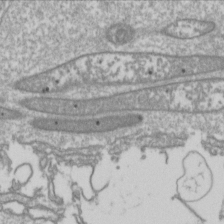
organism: Drosophila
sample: Cell division; meiosis; drosophila spermatocytes